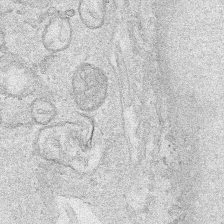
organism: Human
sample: Mitochondria in HCT116 cells